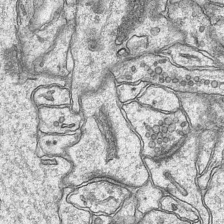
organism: Mouse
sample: CA1 Hippocampus